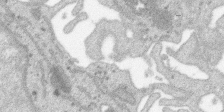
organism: Human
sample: Lung epithelial cells infected with SARS-CoV-2